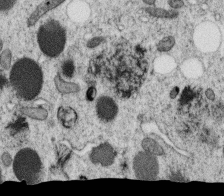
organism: C. elegans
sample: C. elegans oocyte; sperm cells